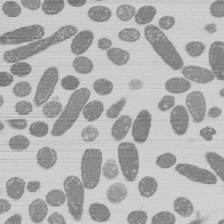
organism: E. coli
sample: Bacterial nucleoid